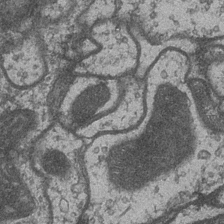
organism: Drosophila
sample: Optic medulla